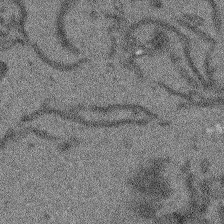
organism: Arabidopsis thaliana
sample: Root tip